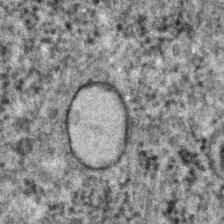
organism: C. elegans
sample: C. elegans embryo